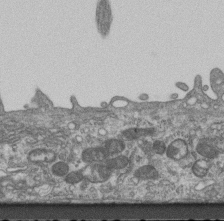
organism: Mouse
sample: Centriole in ependymal cells